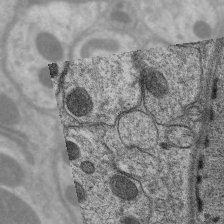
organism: C. elegans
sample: Pharynx